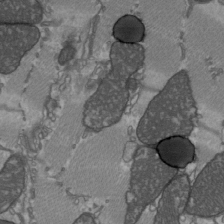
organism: C57BL Mouse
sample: Heart